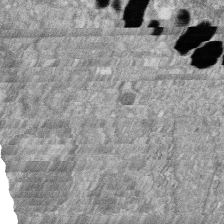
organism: Zebrafish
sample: Cilia; retinal pigment epithelium